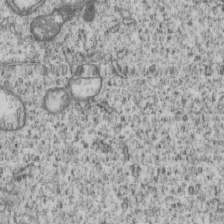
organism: Human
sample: MDA-MB-231 cells